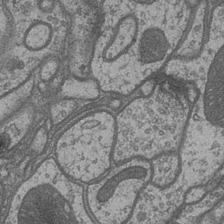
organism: Drosophila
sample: Optic medulla